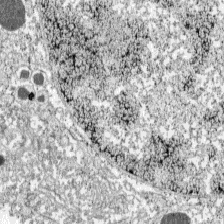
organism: C57BL Mouse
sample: Pancreatic islet